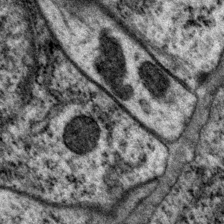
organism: P. pacificus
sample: Pharynx